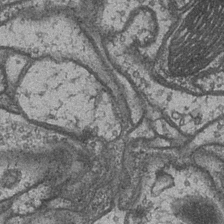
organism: Drosophila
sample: Optic medulla